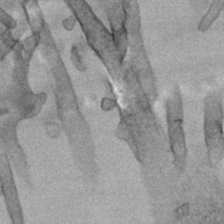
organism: Human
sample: Mitochondria in HCT116 cells